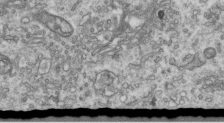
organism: Human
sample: Centriole in RPE cells